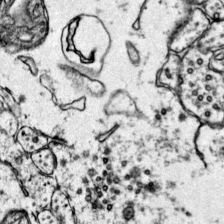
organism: Mouse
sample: Primary visual cortex